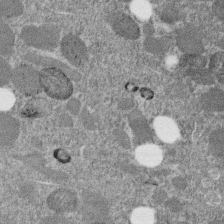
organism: C. elegans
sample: C. elegans embryo early stage